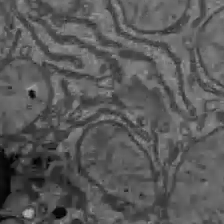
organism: C57BL Mouse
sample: Liver